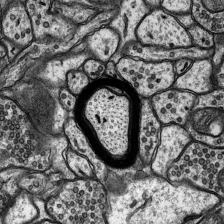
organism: Rat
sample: Hippocampus